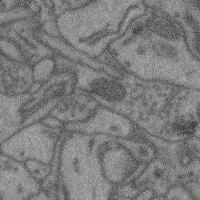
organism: Mouse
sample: Cerebral cortex